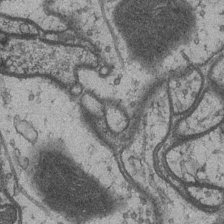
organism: Drosophila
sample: Optic medulla